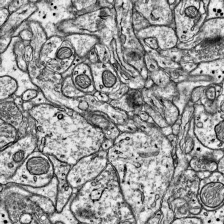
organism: Mouse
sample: Visual Cortex